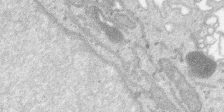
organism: Human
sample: Lung epithelial cells infected with SARS-CoV-2